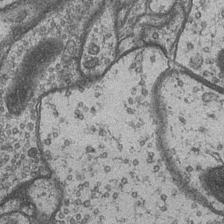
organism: Drosophila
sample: Optic medulla